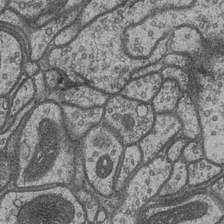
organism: Drosophila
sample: Optic medulla